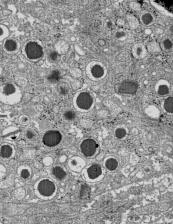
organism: C57BL Mouse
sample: Pancreatic islet